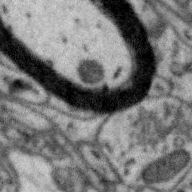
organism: Zebra finch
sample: Brain